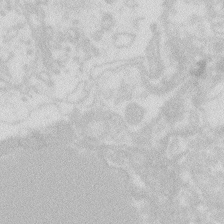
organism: Zebrafish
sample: Macrophage